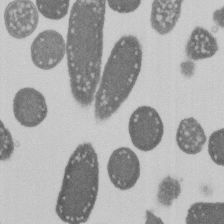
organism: E. coli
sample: Bacterial nucleoid